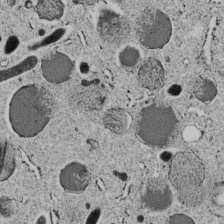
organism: C. elegans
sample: C. elegans embryo early stage